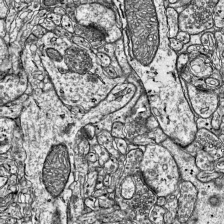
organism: Mouse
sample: Visual Cortex